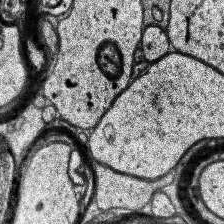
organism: Human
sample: Temporal Lobe